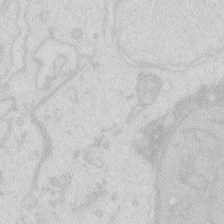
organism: Zebrafish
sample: Macrophage